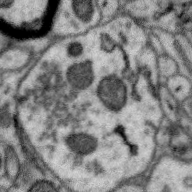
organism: Zebra finch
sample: Brain